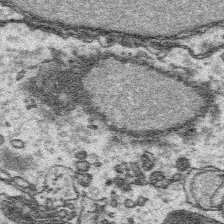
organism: Platynereis dumerilii